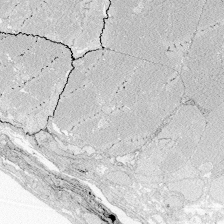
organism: Zebrafish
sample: Whole-Brain